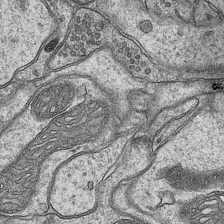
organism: Mouse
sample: CA1 Hippocampus